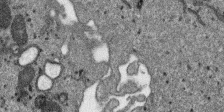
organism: Human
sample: Lung epithelial cells infected with SARS-CoV-2